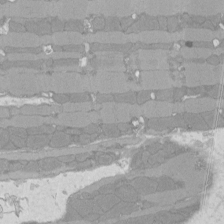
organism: Rat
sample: Left ventricle